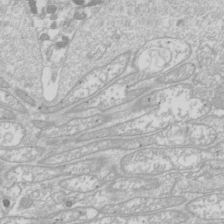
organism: Drosophila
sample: Cell division; meiosis; drosophila spermatocytes